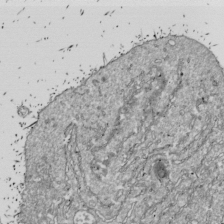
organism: Drosophila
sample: Cell division; meiosis; drosophila spermatocytes